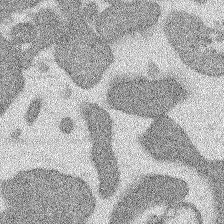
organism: Human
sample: HeLa cells